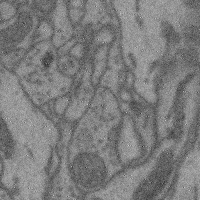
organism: Mouse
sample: Cerebral cortex